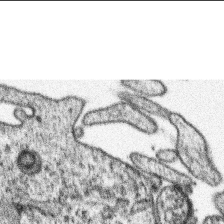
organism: Human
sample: HeLa cells